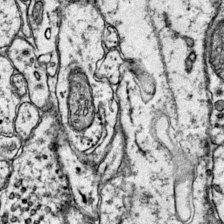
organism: Mouse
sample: Primary visual cortex